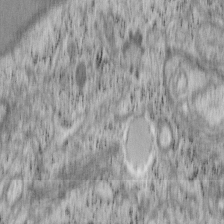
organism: Human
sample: HeLa cells